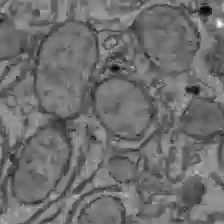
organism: C57BL Mouse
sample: Liver